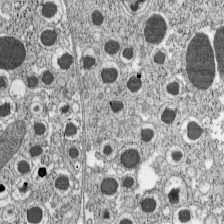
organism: C57BL Mouse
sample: Pancreatic islet